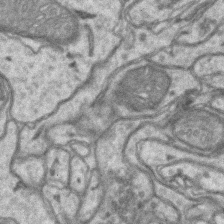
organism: Mouse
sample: CA1 Hippocampus